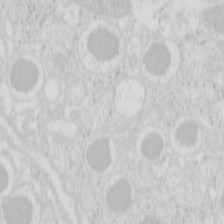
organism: Mouse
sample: Pancreas